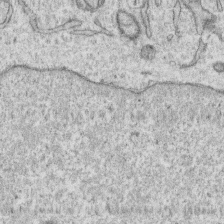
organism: Human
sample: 1205lu cells